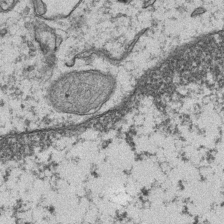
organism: Mouse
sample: CA1 Hippocampus